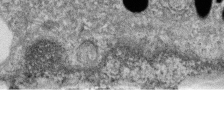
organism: Zebrafish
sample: Cilia; retinal pigment epithelium